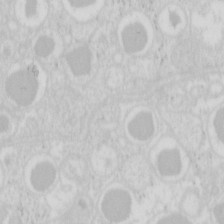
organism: Mouse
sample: Pancreas